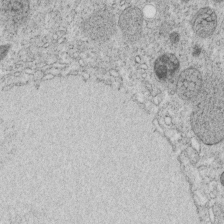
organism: C. elegans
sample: C. elegans embryo early stage